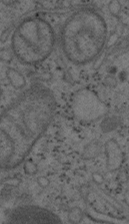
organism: Human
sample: HeLa cells